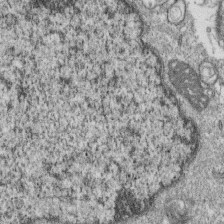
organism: African green monkey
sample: Vero E6 cells infected with SARS-CoV-2